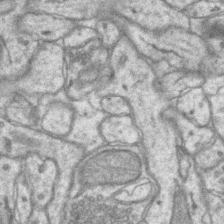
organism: Mouse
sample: CA1 Hippocampus